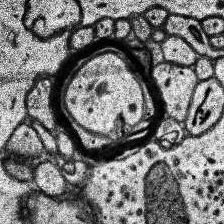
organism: Human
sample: Temporal Lobe